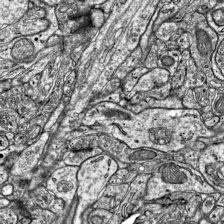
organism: Mouse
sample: Visual Cortex